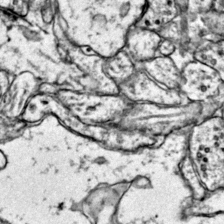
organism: Mouse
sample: Primary visual cortex